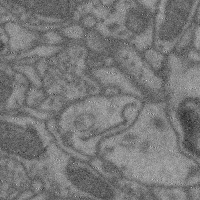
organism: Mouse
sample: Cerebral cortex